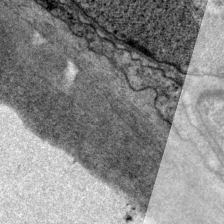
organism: P. pacificus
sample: Pharynx